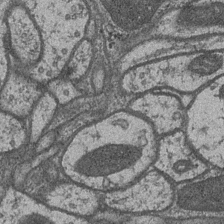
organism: Drosophila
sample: Optic medulla